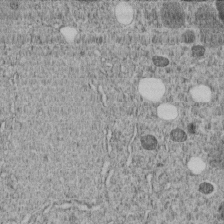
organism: C. elegans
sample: C. elegans embryo early stage